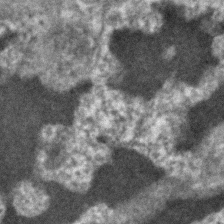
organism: Human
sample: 1205lu cells